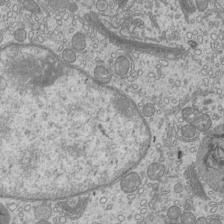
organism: Mouse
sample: Cilia; mouse epididymis